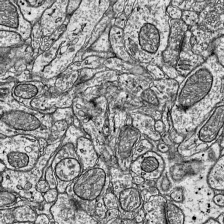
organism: Mouse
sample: Visual Cortex